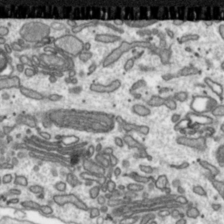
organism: Toxoplasma gondii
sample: Parasites in a vacuole inside a host cell